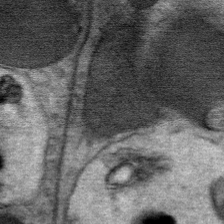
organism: Mouse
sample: Mouse Salivary gland